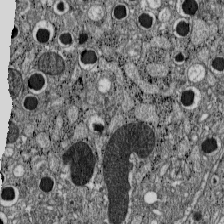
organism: C57BL Mouse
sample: Pancreatic islet